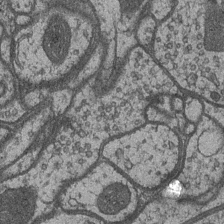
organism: Drosophila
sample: Optic medulla